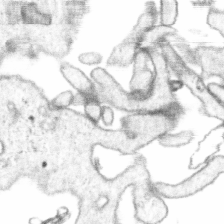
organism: Human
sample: HeLa cells